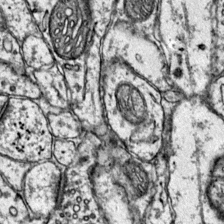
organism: Mouse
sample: Primary visual cortex